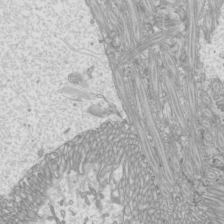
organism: Mouse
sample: Cilia; mouse epididymis